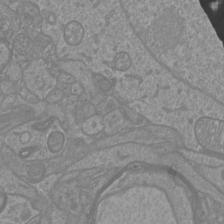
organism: Mouse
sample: Cortical neurons